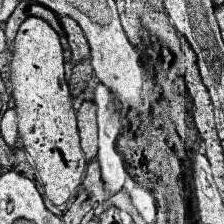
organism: Human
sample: Temporal Lobe